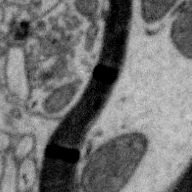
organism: Zebra finch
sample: Brain